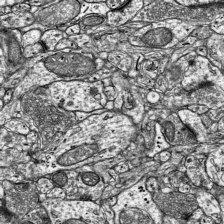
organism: Mouse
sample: Visual Cortex